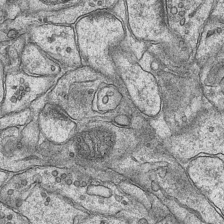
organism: Mouse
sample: CA1 Hippocampus